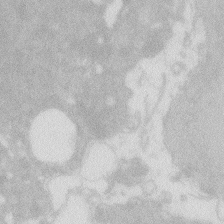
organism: Zebrafish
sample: Macrophage